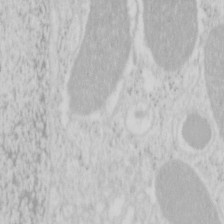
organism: Mouse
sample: Pancreas